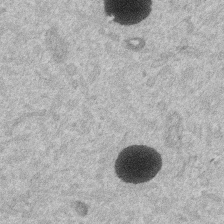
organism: Mouse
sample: Dividing mouse embryo 1 cell stage